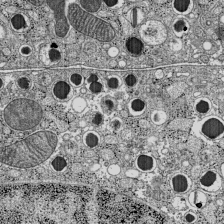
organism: C57BL Mouse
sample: Pancreatic islet